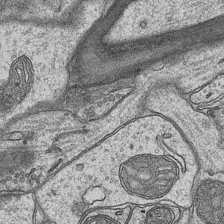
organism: Mouse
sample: CA1 Hippocampus